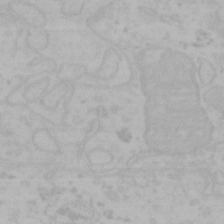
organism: Mouse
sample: Choroid plexus